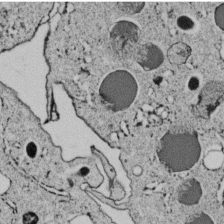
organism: C. elegans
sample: C. elegans embryo early stage